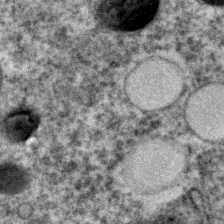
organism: C. elegans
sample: C. elegans embryo